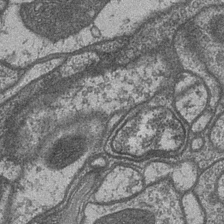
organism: Drosophila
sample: Optic medulla